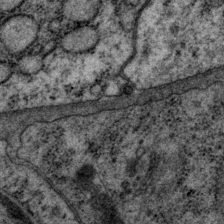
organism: P. pacificus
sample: Pharynx